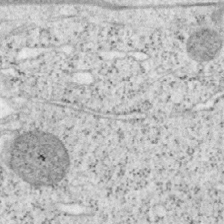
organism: Mouse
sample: OT-I killer T cells with ID8 ovarian cancer cells